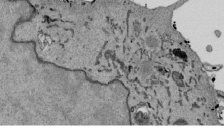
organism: Mouse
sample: ED-1 cell nuclei; centrioles